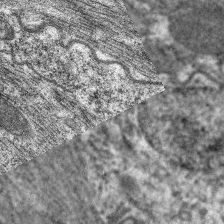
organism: C. elegans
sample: Pharynx